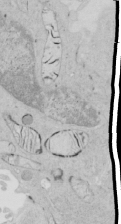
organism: Human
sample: Mitochondria in HCT116 cells